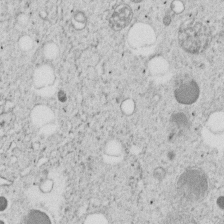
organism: C. elegans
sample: C. elegans embryo early stage